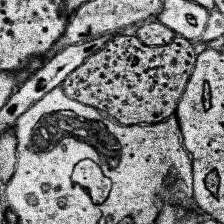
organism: Human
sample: Temporal Lobe